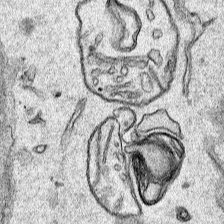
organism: Human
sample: Mitochondria in HCT116 cells